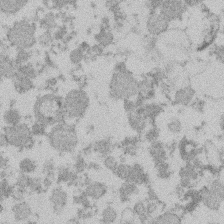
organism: Mouse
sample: Dividing mouse embryo 1 cell stage